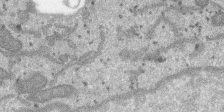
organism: Human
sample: Lung epithelial cells infected with SARS-CoV-2